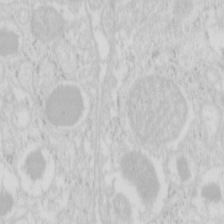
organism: Mouse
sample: Pancreas